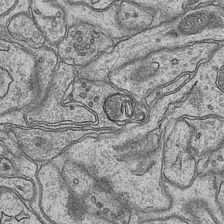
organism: Mouse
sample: CA1 Hippocampus